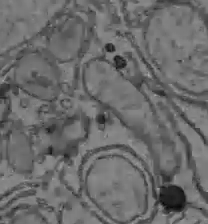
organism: C57BL Mouse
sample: Liver